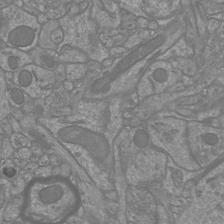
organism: Mouse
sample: Cortical neurons